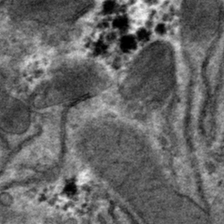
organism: Mouse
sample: Mouse hepatocytes